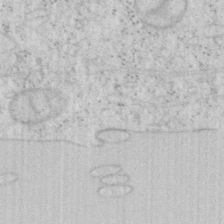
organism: Human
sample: HeLa cells